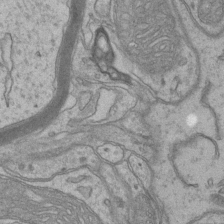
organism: Mouse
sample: CA1 Hippocampus